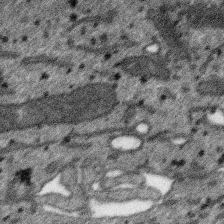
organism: Human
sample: Lung epithelial cells infected with SARS-CoV-2